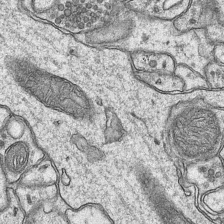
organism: Mouse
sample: CA1 Hippocampus